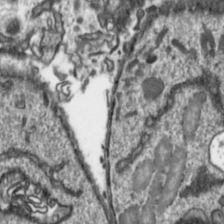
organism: Toxoplasma gondii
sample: Parasites in a vacuole inside a host cell